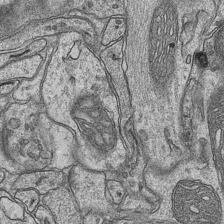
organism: Mouse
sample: CA1 Hippocampus